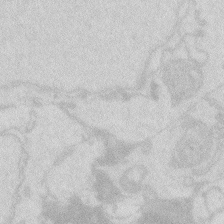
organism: Zebrafish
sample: Macrophage